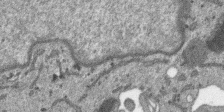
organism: Human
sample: Lung epithelial cells infected with SARS-CoV-2